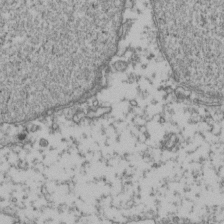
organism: Human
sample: Activated Jurkat CD4+ T cells